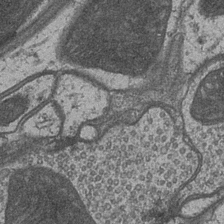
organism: Drosophila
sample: Optic medulla